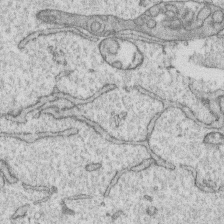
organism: Human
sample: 1205lu cells